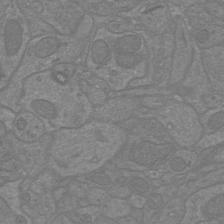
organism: Mouse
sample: Cortical neurons